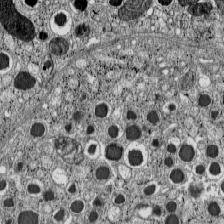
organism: C57BL Mouse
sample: Pancreatic islet